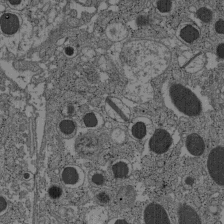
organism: C57BL Mouse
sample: Pancreatic islet